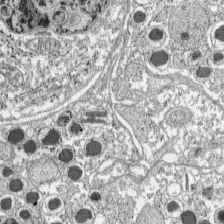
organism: C57BL Mouse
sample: Pancreatic islet